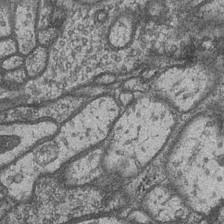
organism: Drosophila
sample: Optic medulla